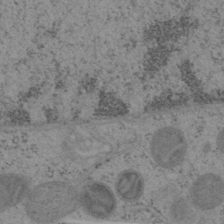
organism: Mouse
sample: OT-I killer T cells with ID8 ovarian cancer cells